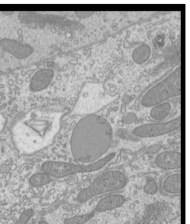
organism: Mouse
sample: Cilia; mouse epididymis